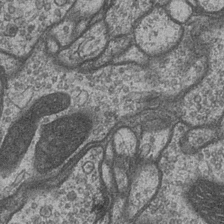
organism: Drosophila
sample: Optic medulla